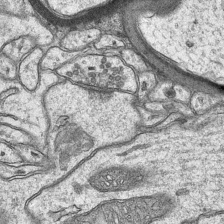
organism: Mouse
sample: CA1 Hippocampus